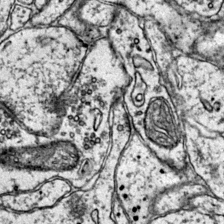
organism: Mouse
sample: Primary visual cortex